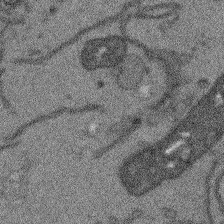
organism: Arabidopsis thaliana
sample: Root tip